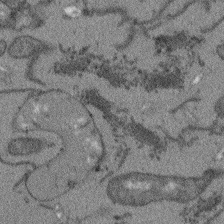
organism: Arabidopsis thaliana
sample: Root tip